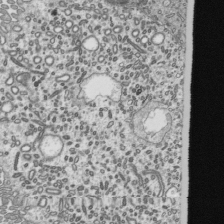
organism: Mouse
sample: Mouse epididymis efferent ductule cilia